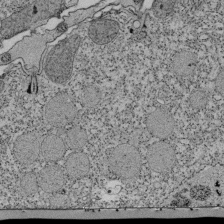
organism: Tetrahymena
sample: Cilia in tetrahymena